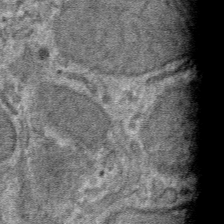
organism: Mouse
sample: Mouse hepatocytes